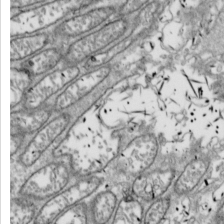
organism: Drosophila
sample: Cell division; meiosis; drosophila spermatocytes